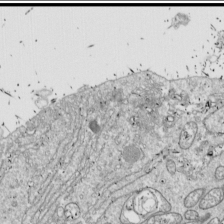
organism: Drosophila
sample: Cell division; meiosis; drosophila spermatocytes